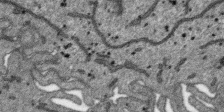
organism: Human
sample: Lung epithelial cells, uninfected (mock) control